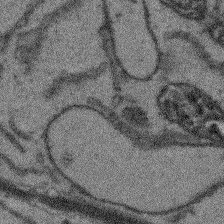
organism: Arabidopsis thaliana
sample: Root tip